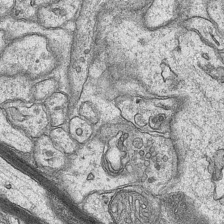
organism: Mouse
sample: CA1 Hippocampus